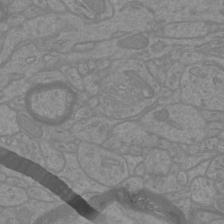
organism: Mouse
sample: Cortical neurons